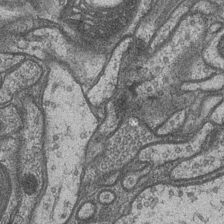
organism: Drosophila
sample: Optic medulla